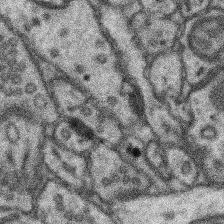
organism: Mouse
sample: Somatosensory cortex neuropil